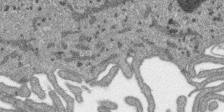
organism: Human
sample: Lung epithelial cells infected with SARS-CoV-2